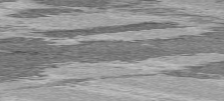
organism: C57BL Mouse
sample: Heart